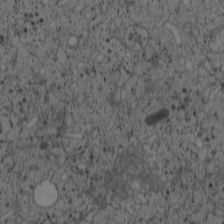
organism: African green monkey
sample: COS-7 cells